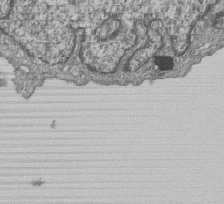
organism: Human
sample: MDA-MB-231 cells